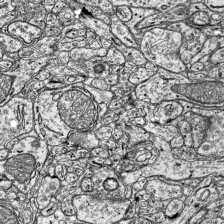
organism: Mouse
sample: Visual Cortex